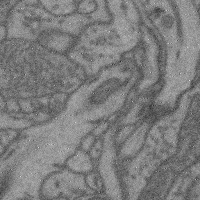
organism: Mouse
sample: Cerebral cortex